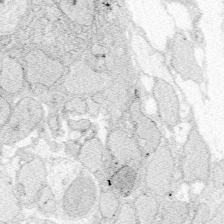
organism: Zebrafish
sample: Whole-Brain